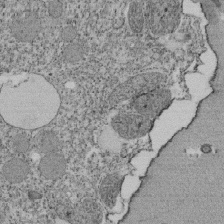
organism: Tetrahymena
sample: Cilia in tetrahymena